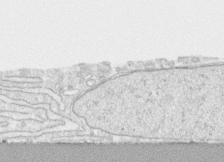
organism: Human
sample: CRL-1474